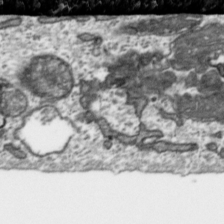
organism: Toxoplasma gondii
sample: Parasites in a vacuole inside a host cell